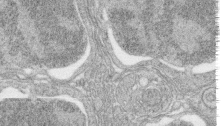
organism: Zebrafish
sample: synaptic ribbons in rod cells and cone cells